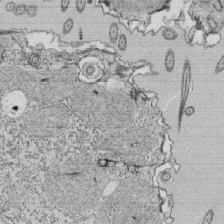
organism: Tetrahymena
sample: Cilia in tetrahymena